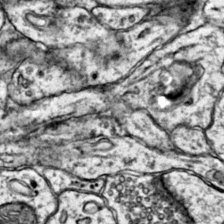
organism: Mouse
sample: Primary visual cortex